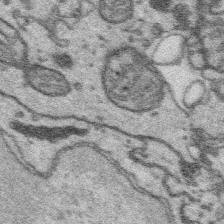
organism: Platynereis dumerilii